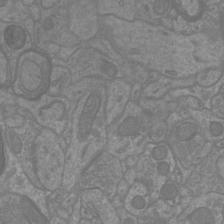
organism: Mouse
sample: Cortical neurons